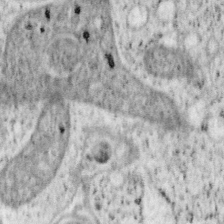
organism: Mouse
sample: OT-I killer T cells with ID8 ovarian cancer cells